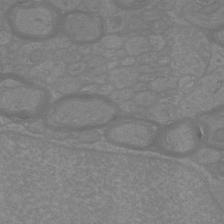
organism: Mouse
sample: Cortical neurons